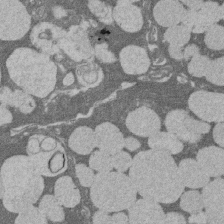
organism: Rat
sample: Salivary granule